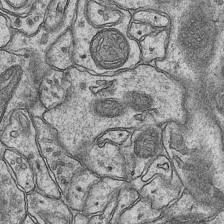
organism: Mouse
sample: CA1 Hippocampus